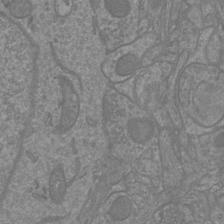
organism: Mouse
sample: Cortical neurons